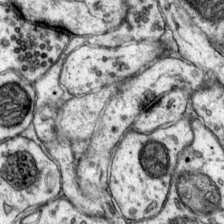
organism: Mouse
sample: Primary visual cortex